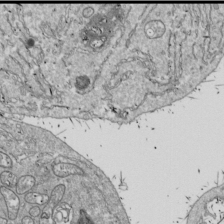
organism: Drosophila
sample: Cell division; meiosis; drosophila spermatocytes